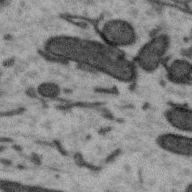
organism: Zebra finch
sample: Brain